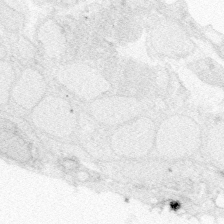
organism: Zebrafish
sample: Whole-Brain